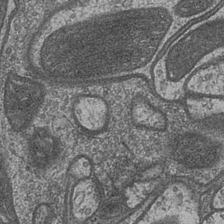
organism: Drosophila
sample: Optic medulla